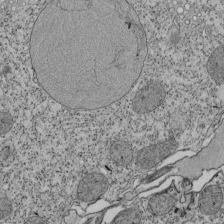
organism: Tetrahymena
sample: Cilia in tetrahymena